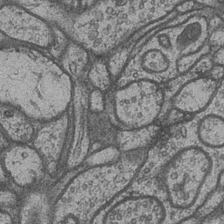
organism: Drosophila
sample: Optic medulla